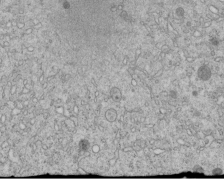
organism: C. elegans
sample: C. elegans embryo early stage